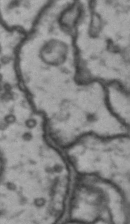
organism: Drosophila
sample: Brain